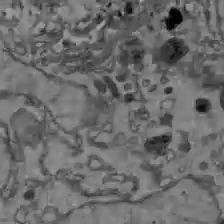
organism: C57BL Mouse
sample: Liver